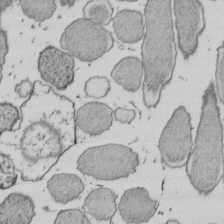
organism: E. coli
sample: Bacterial nucleoid